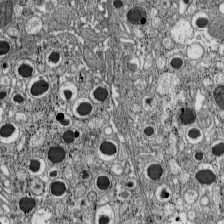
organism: C57BL Mouse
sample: Pancreatic islet